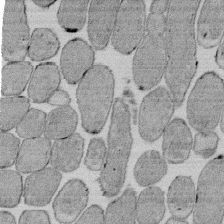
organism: E. coli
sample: Bacterial nucleoid